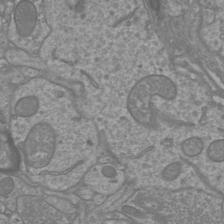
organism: Mouse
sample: Cortical neurons